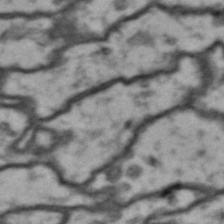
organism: Drosophila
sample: Brain